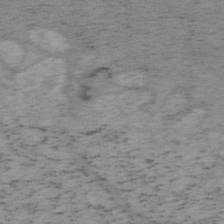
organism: Mouse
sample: OT-I killer T cells with ID8 ovarian cancer cells